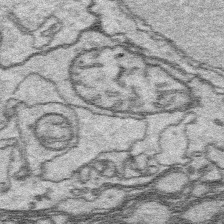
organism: Platynereis dumerilii